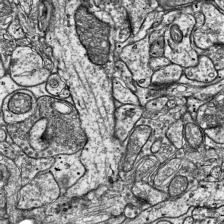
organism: Mouse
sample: Visual Cortex